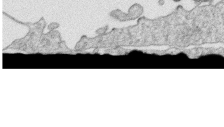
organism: Human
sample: HeLa cell HIV synapse